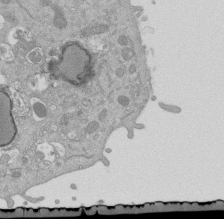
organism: Mouse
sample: ED-1 cell nuclei; centrioles